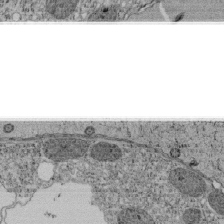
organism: Tetrahymena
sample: Cilia in tetrahymena